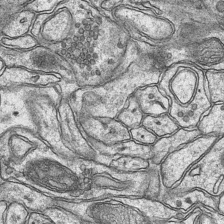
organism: Mouse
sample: CA1 Hippocampus